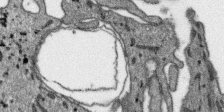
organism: Human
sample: Lung epithelial cells, uninfected (mock) control